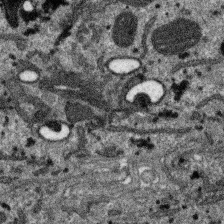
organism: Human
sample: Lung epithelial cells infected with SARS-CoV-2